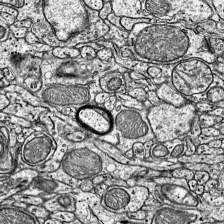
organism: Mouse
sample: Visual Cortex